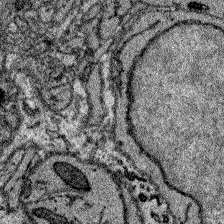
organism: Zebrafish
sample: Larval olfactory bulb